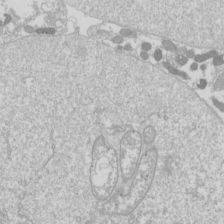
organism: Drosophila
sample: Cell division; meiosis; drosophila spermatocytes